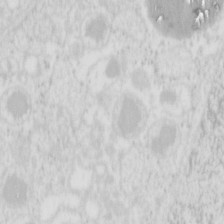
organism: Mouse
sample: Pancreas